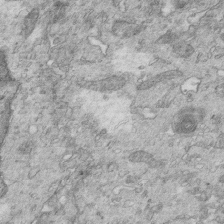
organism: Mouse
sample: Multiciliated cells